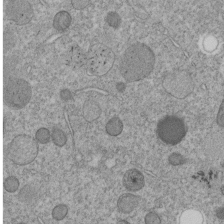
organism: C. elegans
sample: C. elegans embryo early stage